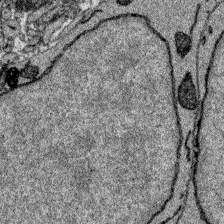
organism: Zebrafish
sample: Larval olfactory bulb